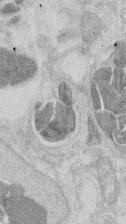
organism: Mouse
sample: T cell stromal cell synapse